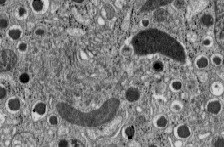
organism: C57BL Mouse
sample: Pancreatic islet